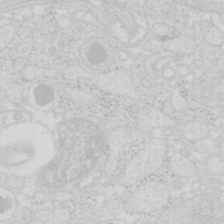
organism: Mouse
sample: Pancreas